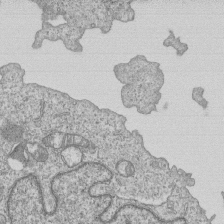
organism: Human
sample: MDA-MB-231 cells